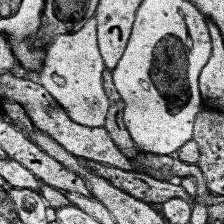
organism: Human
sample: Temporal Lobe